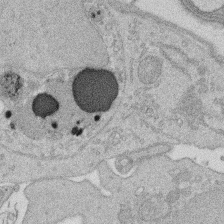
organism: Rat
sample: Salivary granule